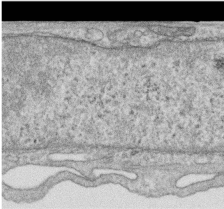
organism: Human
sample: Centriole in RPE cells